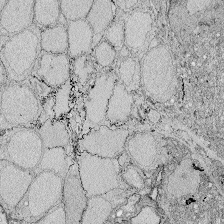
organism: Zebrafish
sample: Whole-Brain